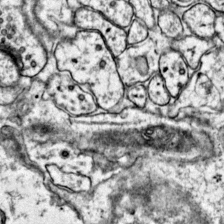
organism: Mouse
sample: Primary visual cortex